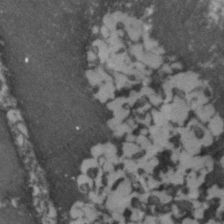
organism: Zebrafish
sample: Zebrafish embryo